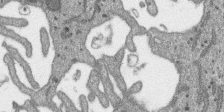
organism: Human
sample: Lung epithelial cells infected with SARS-CoV-2